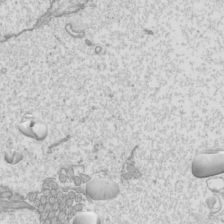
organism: Mouse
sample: Cilia; mouse epididymis